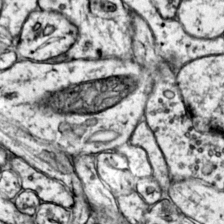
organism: Mouse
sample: Primary visual cortex